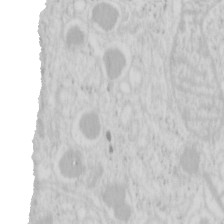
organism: Mouse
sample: Pancreas